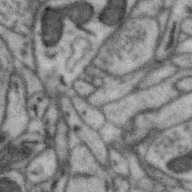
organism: Zebra finch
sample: Brain